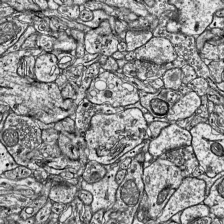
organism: Mouse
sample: Visual Cortex